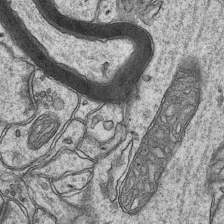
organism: Mouse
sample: CA1 Hippocampus